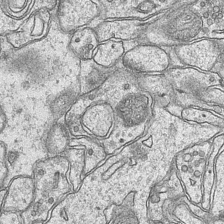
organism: Mouse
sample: CA1 Hippocampus